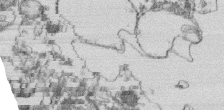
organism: Human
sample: HeLa cell HIV synapse